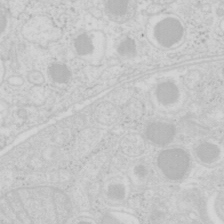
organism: Mouse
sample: Pancreas